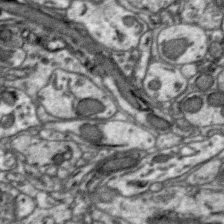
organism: Zebra finch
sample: Brain